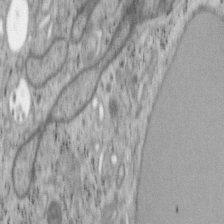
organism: Human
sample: HeLa cells